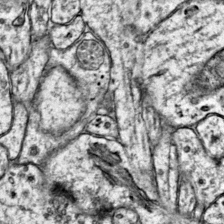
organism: Mouse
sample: Primary visual cortex